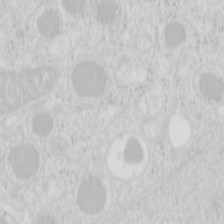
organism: Mouse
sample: Pancreas